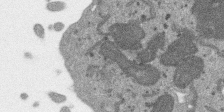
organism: Human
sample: Lung epithelial cells infected with SARS-CoV-2